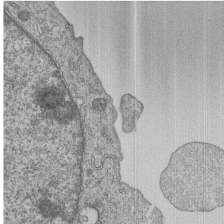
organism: Human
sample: MDA-MB-231 cells